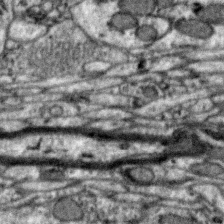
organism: Zebra finch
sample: Brain